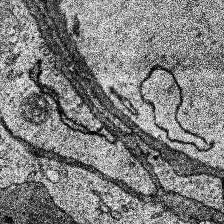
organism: Human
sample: Temporal Lobe